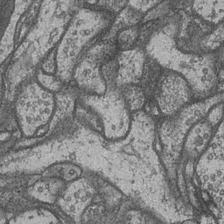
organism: Drosophila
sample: Optic medulla